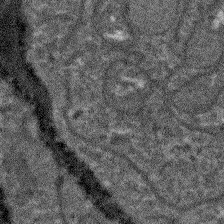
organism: Arabidopsis thaliana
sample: Root tip